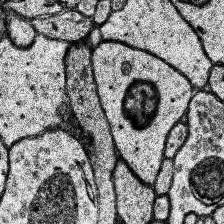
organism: Human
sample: Temporal Lobe